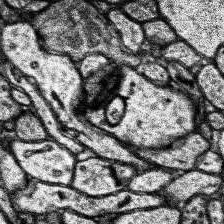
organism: Human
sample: Temporal Lobe